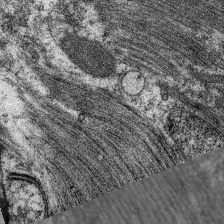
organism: C. elegans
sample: Pharynx